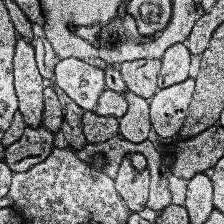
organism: Human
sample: Temporal Lobe